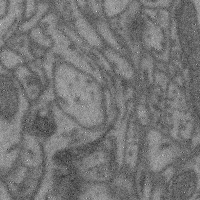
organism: Mouse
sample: Cerebral cortex